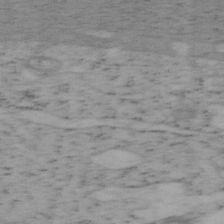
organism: Mouse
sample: OT-I killer T cells with ID8 ovarian cancer cells